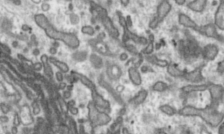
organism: Toxoplasma gondii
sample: Parasites in a vacuole inside a host cell